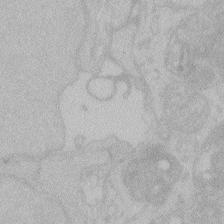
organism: Zebrafish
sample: Macrophage infected with Toxoplasma gondii